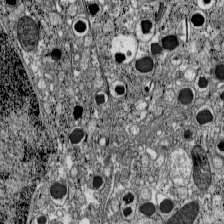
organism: C57BL Mouse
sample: Pancreatic islet